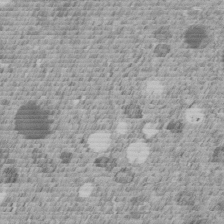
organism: C. elegans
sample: C. elegans embryo early stage